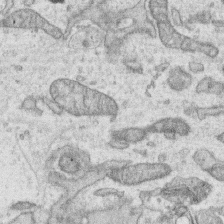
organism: Human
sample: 1205lu cells